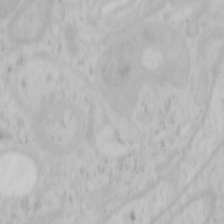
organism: Mouse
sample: OT-I killer T cells with ID8 ovarian cancer cells